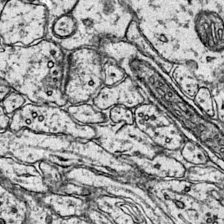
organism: Mouse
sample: Primary visual cortex